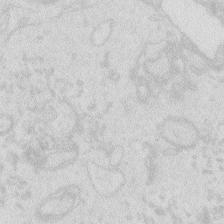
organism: Zebrafish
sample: Macrophage